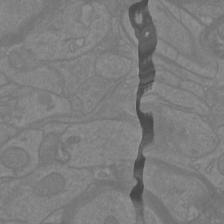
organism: Mouse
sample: Cortical neurons